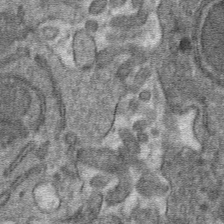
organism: Mouse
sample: Mouse hepatocytes